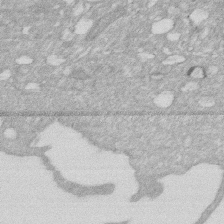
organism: Human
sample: HIV infected U937 cells